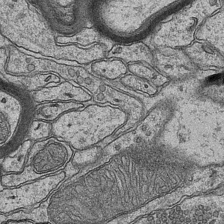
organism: Mouse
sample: CA1 Hippocampus